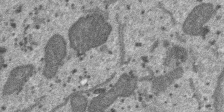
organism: Human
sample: Lung epithelial cells infected with SARS-CoV-2